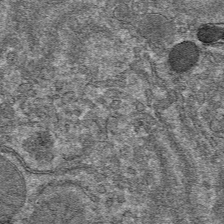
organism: Mouse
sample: Mouse hepatocytes